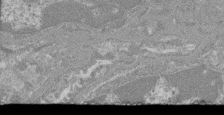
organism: Mouse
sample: Glomerulus